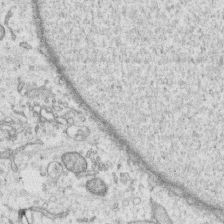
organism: Human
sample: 1205lu cells